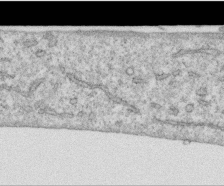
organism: Human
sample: Centriole in RPE cells